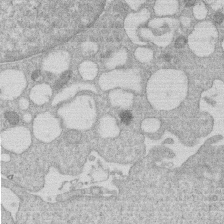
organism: Human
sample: Macrophage cells